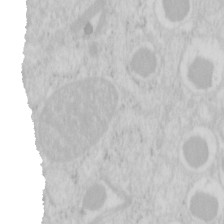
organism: Mouse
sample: Pancreas